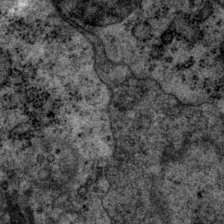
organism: P. pacificus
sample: Pharynx